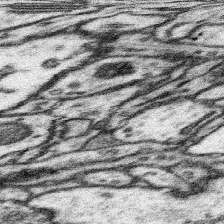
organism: Mouse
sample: Somatosensory cortex neuropil